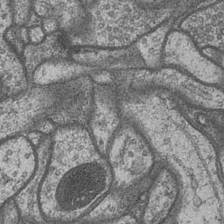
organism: Drosophila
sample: Optic medulla